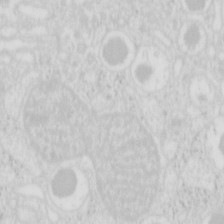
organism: Mouse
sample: Pancreas